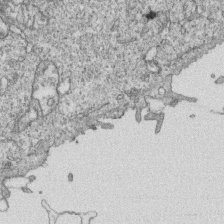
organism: Human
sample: HeLa cell HIV synapse